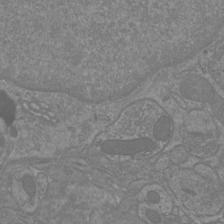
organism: Mouse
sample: Cortical neurons